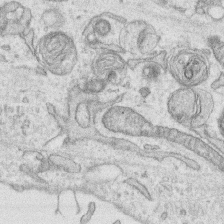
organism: Human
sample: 1205lu cells